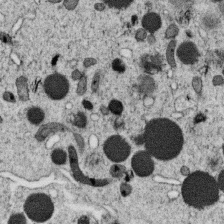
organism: C. elegans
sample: C. elegans oocyte; sperm cells